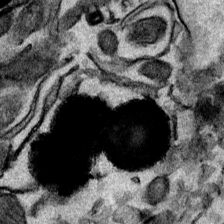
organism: Mouse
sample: Cancer cell death in ED-1 cells